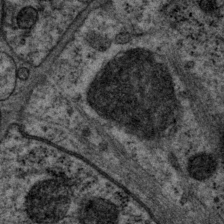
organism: P. pacificus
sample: Pharynx